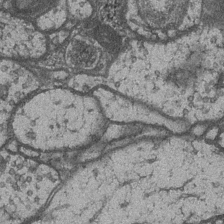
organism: Drosophila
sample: Optic medulla